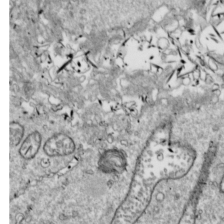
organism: Drosophila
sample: Cell division; meiosis; drosophila spermatocytes